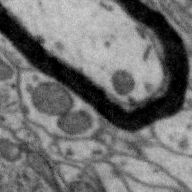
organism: Zebra finch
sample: Brain